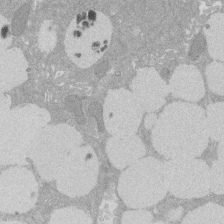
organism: Rat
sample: Salivary granule